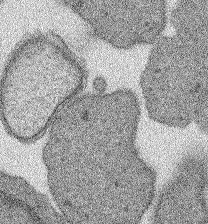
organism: Human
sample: HeLa cells